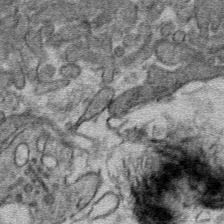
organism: Mouse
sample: Mouse hepatocytes